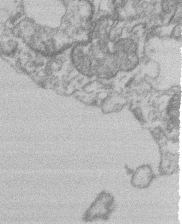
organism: Mouse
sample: T cell stromal cell synapse